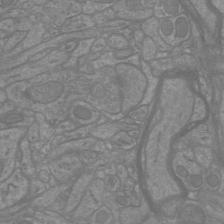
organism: Mouse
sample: Cortical neurons